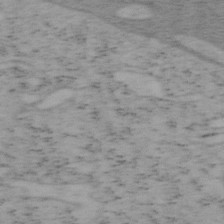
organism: Mouse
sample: OT-I killer T cells with ID8 ovarian cancer cells